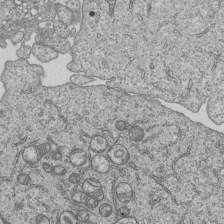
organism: Human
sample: MDA-MB-231 cells